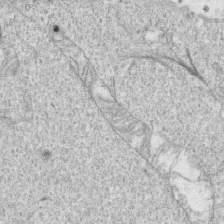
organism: Human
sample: HeLa cell HIV synapse